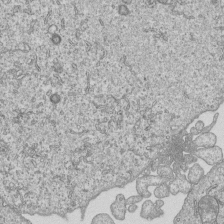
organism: Human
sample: MDA-MB-231 cells